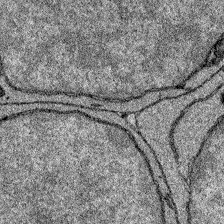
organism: Zebrafish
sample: Larval olfactory bulb